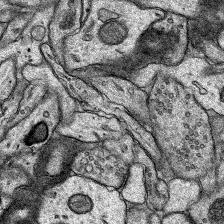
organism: Rat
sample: Hippocampus